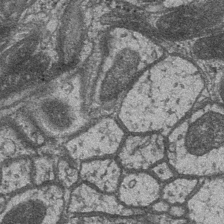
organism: Drosophila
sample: Optic medulla